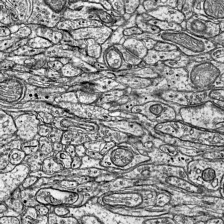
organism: Mouse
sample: Visual Cortex